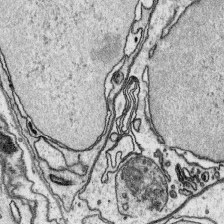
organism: Platynereis dumerilii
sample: Parapodia